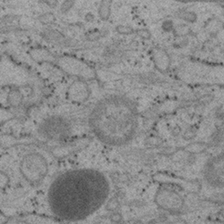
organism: Human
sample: HeLa cells